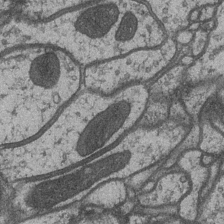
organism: Drosophila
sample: Optic medulla